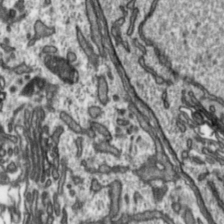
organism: Toxoplasma gondii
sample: Parasites in a vacuole inside a host cell